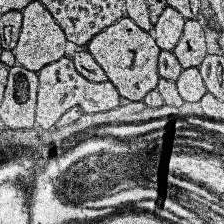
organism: Human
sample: Temporal Lobe